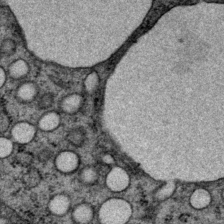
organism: P. pacificus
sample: Pharynx